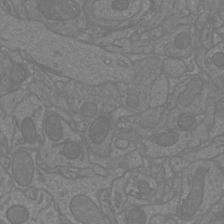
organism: Mouse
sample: Cortical neurons